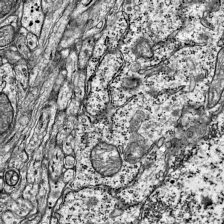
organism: Mouse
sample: Visual Cortex